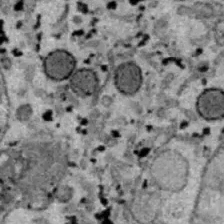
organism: Mouse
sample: Liver from an obese (ob/ob) mouse